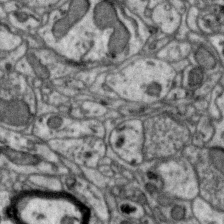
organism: Zebra finch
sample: Brain